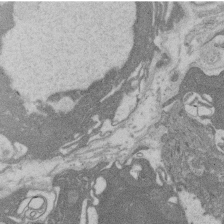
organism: Rat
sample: Salivary granule